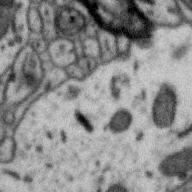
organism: Zebra finch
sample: Brain